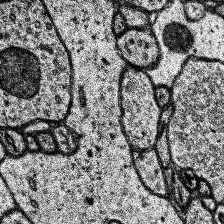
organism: Human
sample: Temporal Lobe